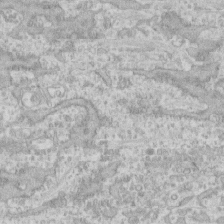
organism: Human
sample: CRL-1474